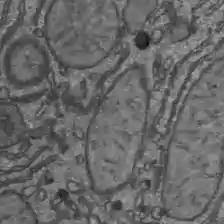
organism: C57BL Mouse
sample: Liver